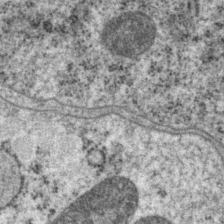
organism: P. pacificus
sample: Pharynx